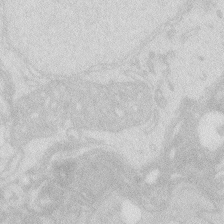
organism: Zebrafish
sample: Macrophage